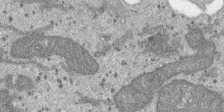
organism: Human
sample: Lung epithelial cells infected with SARS-CoV-2